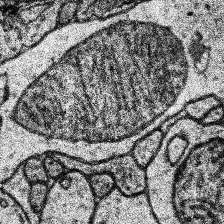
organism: Human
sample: Temporal Lobe